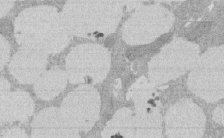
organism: Rat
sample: Salivary granule